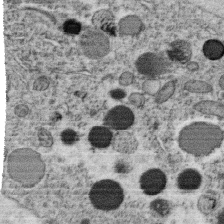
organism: C. elegans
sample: C. elegans oocyte; sperm cells